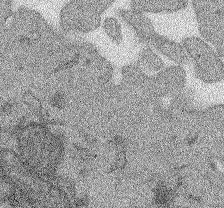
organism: Human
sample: HeLa cells